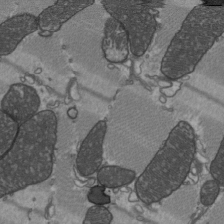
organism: C57BL Mouse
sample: Heart